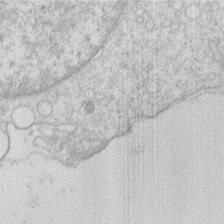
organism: Human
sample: Macrophage cells